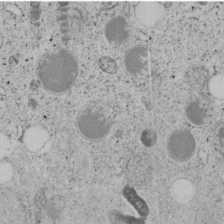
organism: C. elegans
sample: C. elegans embryo early stage